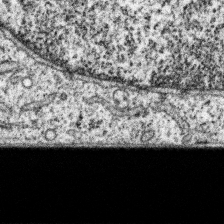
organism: Human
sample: HeLa cells